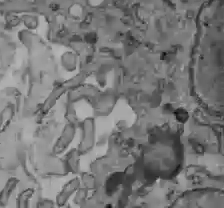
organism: C57BL Mouse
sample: Liver